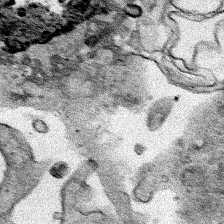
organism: Human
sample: Mitochondria in HCT116 cells